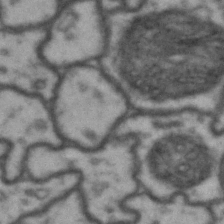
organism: Drosophila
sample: Brain